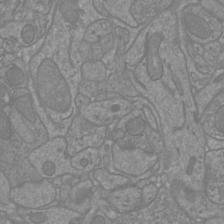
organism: Mouse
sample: Cortical neurons